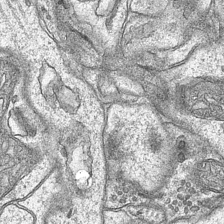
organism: Mouse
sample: CA1 Hippocampus